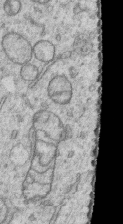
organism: Human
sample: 1205lu cells